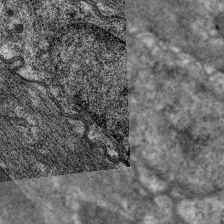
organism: C. elegans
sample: Pharynx